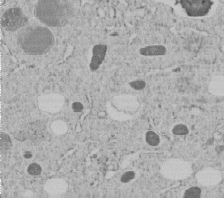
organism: C. elegans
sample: C. elegans embryo early stage